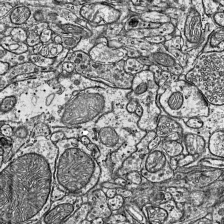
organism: Mouse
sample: Visual Cortex